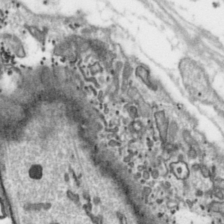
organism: Toxoplasma gondii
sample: Parasites in a vacuole inside a host cell